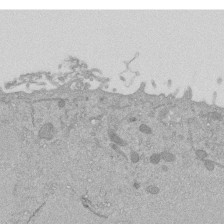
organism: Mouse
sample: ED-1 cell nuclei; centrioles